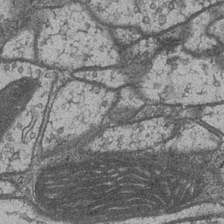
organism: Drosophila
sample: Optic medulla